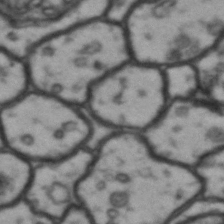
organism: Drosophila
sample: Brain